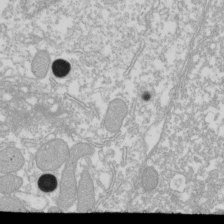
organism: Xenopus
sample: Cilia; centrioles in frog embryo cells